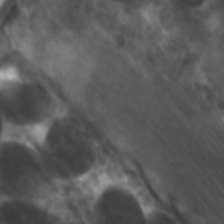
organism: C. elegans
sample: Pharynx